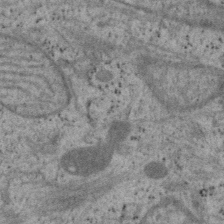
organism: Human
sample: HeLa cells